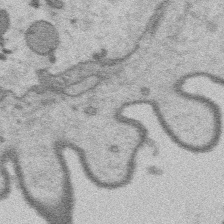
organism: Platynereis dumerilii